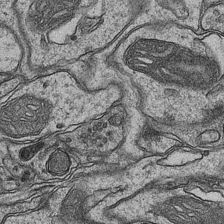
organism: Mouse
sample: CA1 Hippocampus